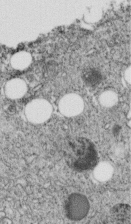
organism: C. elegans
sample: C. elegans embryo early stage